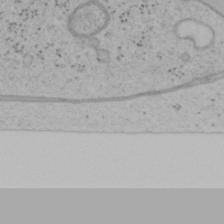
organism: Human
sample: HeLa cells